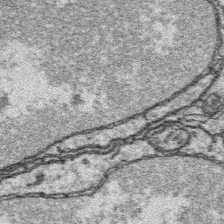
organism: Platynereis dumerilii